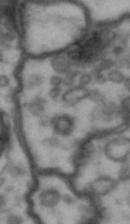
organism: Drosophila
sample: Brain